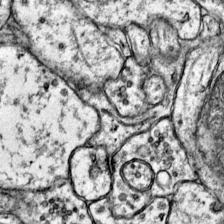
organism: Mouse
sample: Primary visual cortex